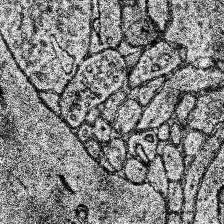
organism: Human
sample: Temporal Lobe